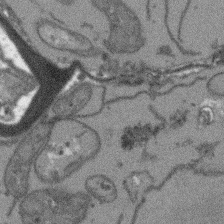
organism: Arabidopsis thaliana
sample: Root tip